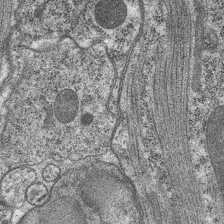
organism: C. elegans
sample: Pharynx